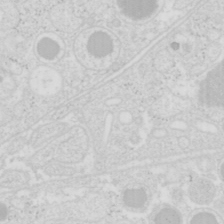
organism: Mouse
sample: Pancreas